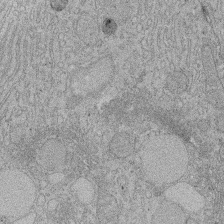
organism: Rat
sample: Salivary granule